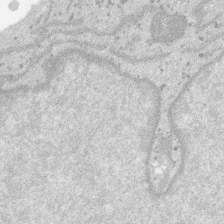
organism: Human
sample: Lung epithelial cells infected with SARS-CoV-2